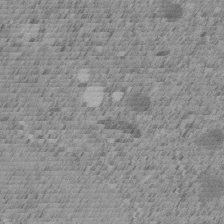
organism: C. elegans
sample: C. elegans embryo early stage